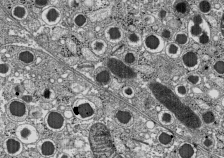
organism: C57BL Mouse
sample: Pancreatic islet